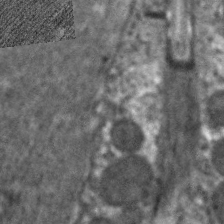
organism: C. elegans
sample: Pharynx